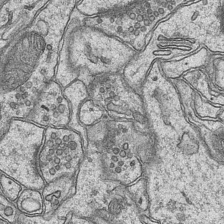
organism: Mouse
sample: CA1 Hippocampus